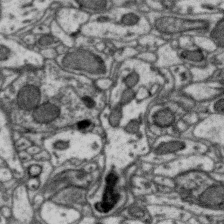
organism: Zebra finch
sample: Brain